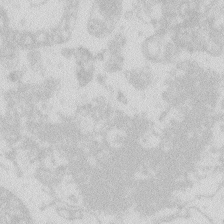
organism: Zebrafish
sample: Macrophage